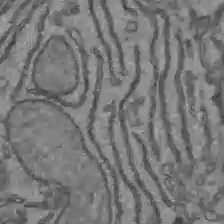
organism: C57BL Mouse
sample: Liver